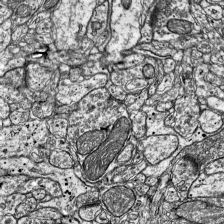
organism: Mouse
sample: Visual Cortex